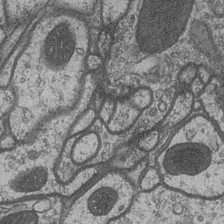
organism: Drosophila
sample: Optic medulla